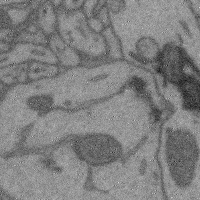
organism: Mouse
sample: Cerebral cortex